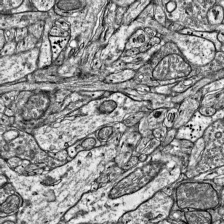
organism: Mouse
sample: Visual Cortex